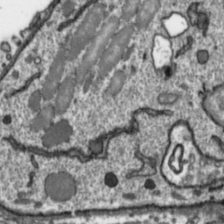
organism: Toxoplasma gondii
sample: Parasites in a vacuole inside a host cell